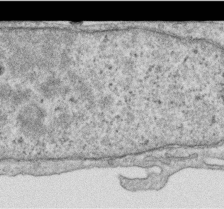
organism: Human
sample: Centriole in RPE cells